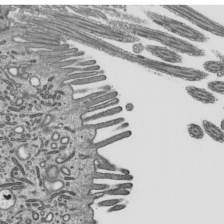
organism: Mouse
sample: Mouse epididymis efferent ductule cilia